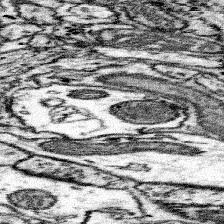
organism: Mouse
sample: Somatosensory cortex neuropil